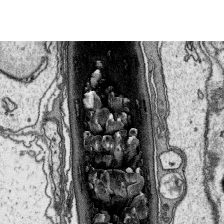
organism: Platynereis dumerilii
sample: Parapodia